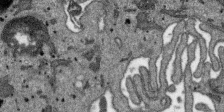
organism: Human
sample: Lung epithelial cells, uninfected (mock) control